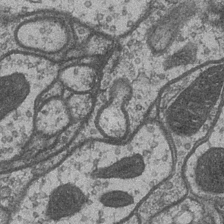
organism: Drosophila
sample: Optic medulla